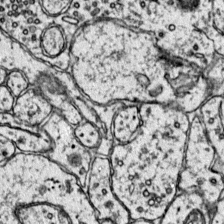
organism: Mouse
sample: Primary visual cortex